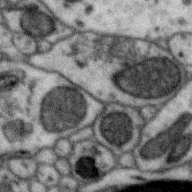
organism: Zebra finch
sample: Brain